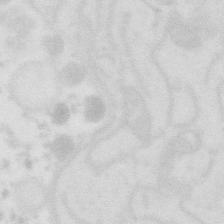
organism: Human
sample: HeLa cells